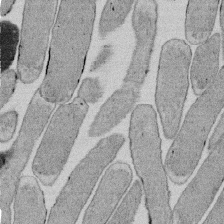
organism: E. coli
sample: Bacterial nucleoid